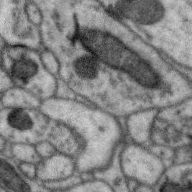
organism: Zebra finch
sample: Brain